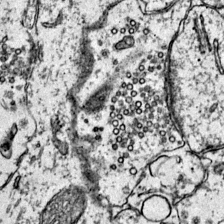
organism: Mouse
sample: Primary visual cortex